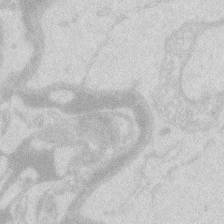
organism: Zebrafish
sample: Macrophage